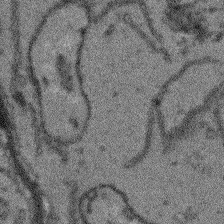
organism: Arabidopsis thaliana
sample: Root tip